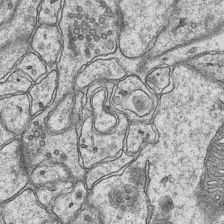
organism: Mouse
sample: CA1 Hippocampus